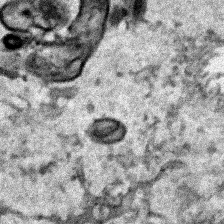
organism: Human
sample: Mitochondria in HCT116 cells